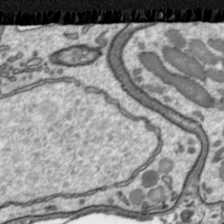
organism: Toxoplasma gondii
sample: Parasites in a vacuole inside a host cell